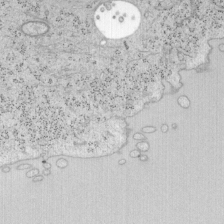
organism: Mouse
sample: OT-I killer T cells with ID8 ovarian cancer cells